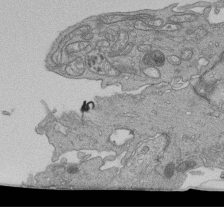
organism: Human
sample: Retinal organoid Rod and Cone cells